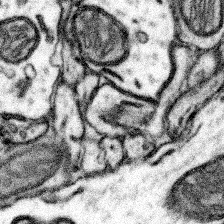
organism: Mouse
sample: Somatosensory cortex neuropil